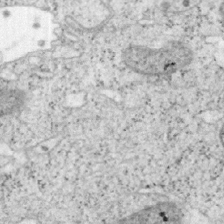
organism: Mouse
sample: OT-I killer T cells with ID8 ovarian cancer cells